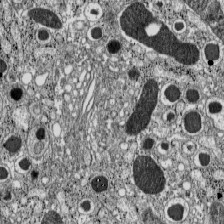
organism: C57BL Mouse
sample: Pancreatic islet